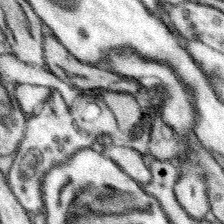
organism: Mouse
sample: Somatosensory cortex neuropil